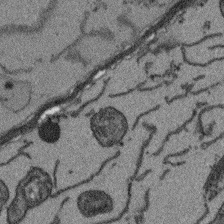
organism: Arabidopsis thaliana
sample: Root tip